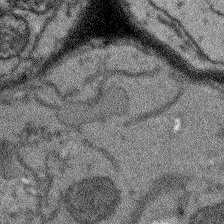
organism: Arabidopsis thaliana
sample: Root tip